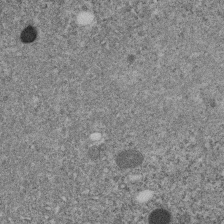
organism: C. elegans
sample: C. elegans embryo early stage